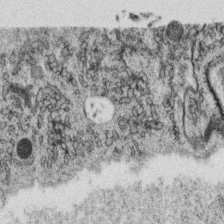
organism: C. elegans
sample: C. elegans oocyte; sperm cells